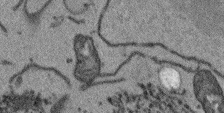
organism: Arabidopsis thaliana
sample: Root tip